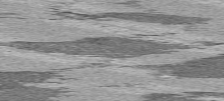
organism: C57BL Mouse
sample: Heart